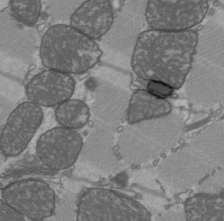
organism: C57BL Mouse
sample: Heart